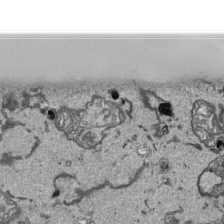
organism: Human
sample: Mitochondria in HCT116 cells